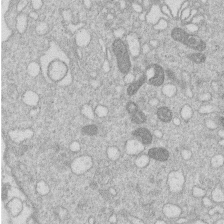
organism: Human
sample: Macrophage cells